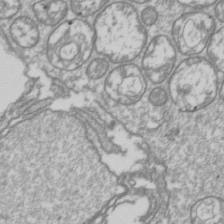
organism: Drosophila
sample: Cell division; meiosis; drosophila spermatocytes